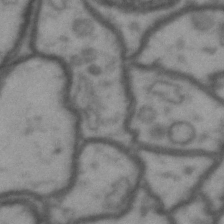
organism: Drosophila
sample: Brain